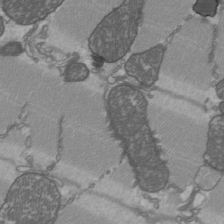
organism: C57BL Mouse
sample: Heart